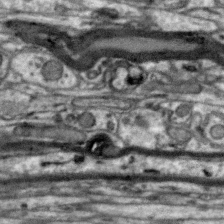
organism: Zebra finch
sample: Brain